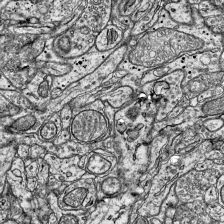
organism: Mouse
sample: Visual Cortex